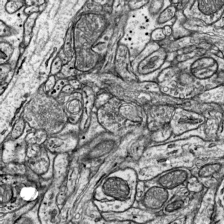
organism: Mouse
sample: Visual Cortex